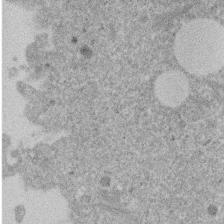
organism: Mouse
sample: Dividing mouse embryo 1 cell stage